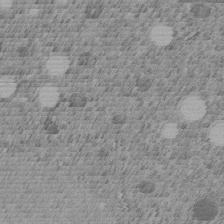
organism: C. elegans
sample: C. elegans embryo early stage